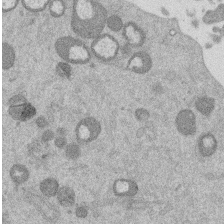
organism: Mouse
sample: Dividing mouse embryo 1 cell stage